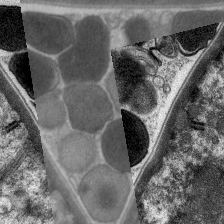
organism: C. elegans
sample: Pharynx